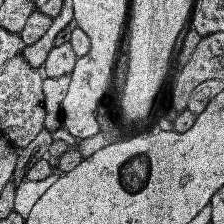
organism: Human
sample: Temporal Lobe